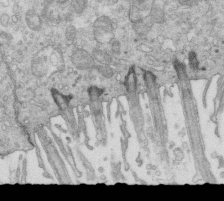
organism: Mouse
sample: Multiciliated cells